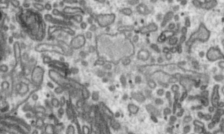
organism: Toxoplasma gondii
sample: Parasites in a vacuole inside a host cell